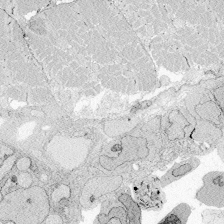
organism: Zebrafish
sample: Whole-Brain